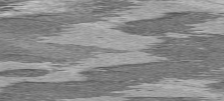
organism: C57BL Mouse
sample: Heart